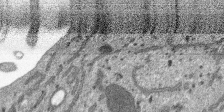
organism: Human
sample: Lung epithelial cells infected with SARS-CoV-2